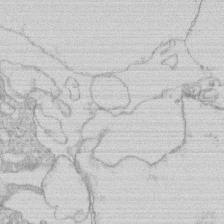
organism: Human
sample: Macrophage cells